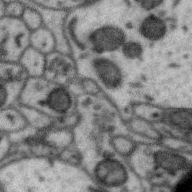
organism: Zebra finch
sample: Brain